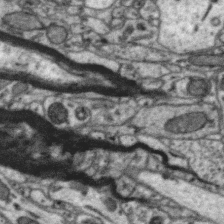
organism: Zebra finch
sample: Brain